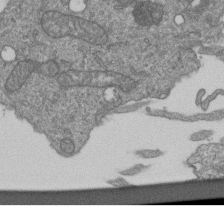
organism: Human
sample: Retinal organoid Rod and Cone cells